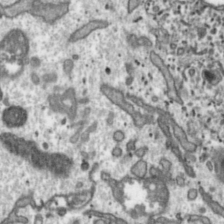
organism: Toxoplasma gondii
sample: Parasites in a vacuole inside a host cell